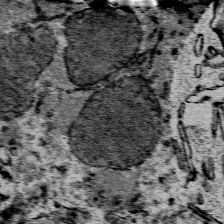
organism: Mouse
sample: Mouse Salivary gland